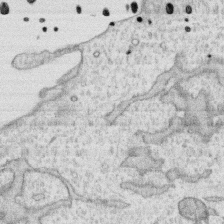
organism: Human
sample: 1205lu cells